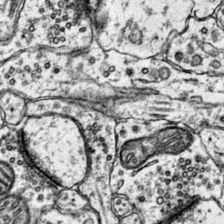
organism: Mouse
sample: Primary visual cortex